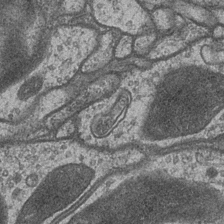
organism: Drosophila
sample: Optic medulla